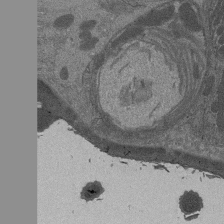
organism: Drosophila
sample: Antenna